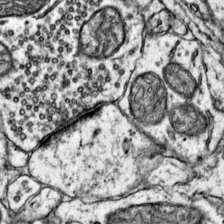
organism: Mouse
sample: Primary visual cortex